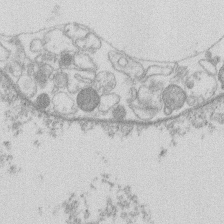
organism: Human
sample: Macrophage cells